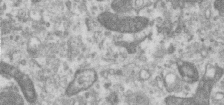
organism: Human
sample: Centriole in RPE cells